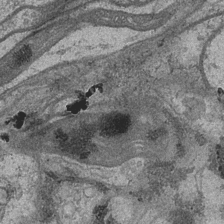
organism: Drosophila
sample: Optic medulla